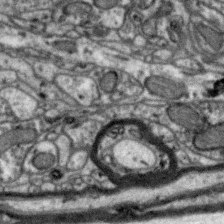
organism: Zebra finch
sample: Brain